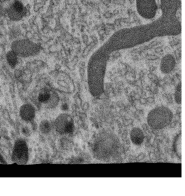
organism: C. elegans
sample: C. elegans oocyte; sperm cells